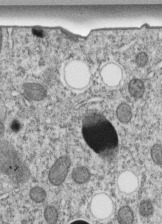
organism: C. elegans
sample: C. elegans embryo early stage